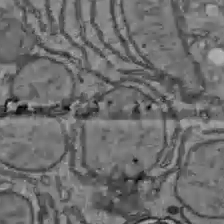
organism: C57BL Mouse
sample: Liver